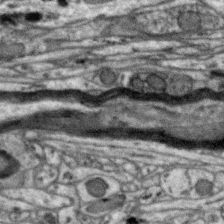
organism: Zebra finch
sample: Brain